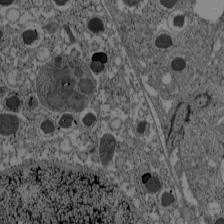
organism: C57BL Mouse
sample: Pancreatic islet